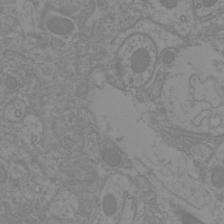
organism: Mouse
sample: Cortical neurons